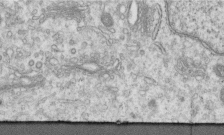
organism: Human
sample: Centriole in RPE cells